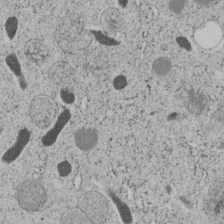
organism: C. elegans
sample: C. elegans embryo early stage